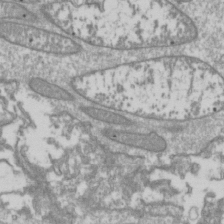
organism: Drosophila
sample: Cell division; meiosis; drosophila spermatocytes